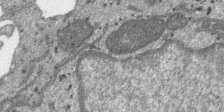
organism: Human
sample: Lung epithelial cells infected with SARS-CoV-2